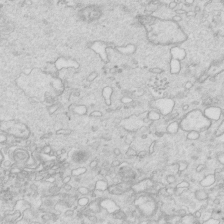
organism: Mouse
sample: Multiciliated cells